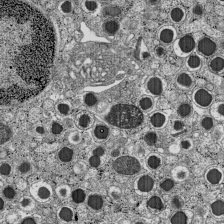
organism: C57BL Mouse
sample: Pancreatic islet